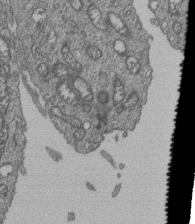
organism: Human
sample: Retinal organoid Rod and Cone cells